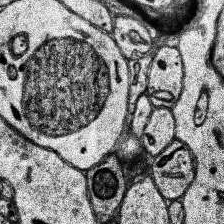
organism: Human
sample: Temporal Lobe